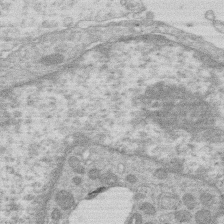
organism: Human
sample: Macrophage cells